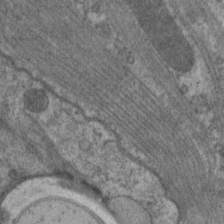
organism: C. elegans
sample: Pharynx